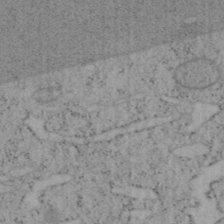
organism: Mouse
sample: OT-I killer T cells with ID8 ovarian cancer cells